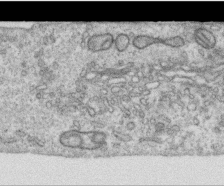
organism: Human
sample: Centriole in RPE cells